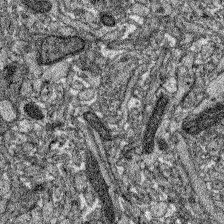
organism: Zebrafish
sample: Larval olfactory bulb